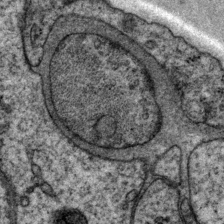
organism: P. pacificus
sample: Pharynx